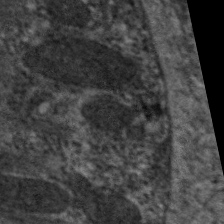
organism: C. elegans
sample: Pharynx